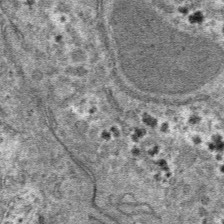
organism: Mouse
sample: Mouse hepatocytes